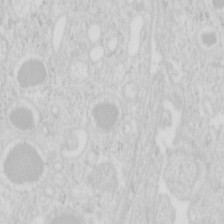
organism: Mouse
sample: Pancreas